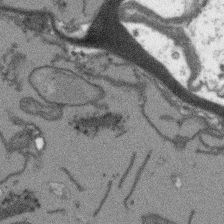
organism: Arabidopsis thaliana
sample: Root tip